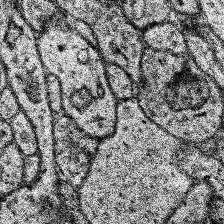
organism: Human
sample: Temporal Lobe